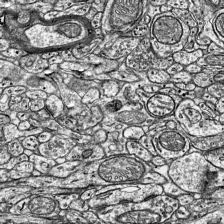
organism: Mouse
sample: Visual Cortex